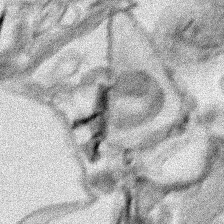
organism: Human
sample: Mitochondria in HCT116 cells